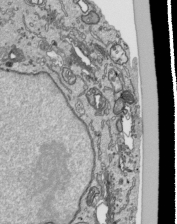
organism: Human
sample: Mitochondria in HCT116 cells